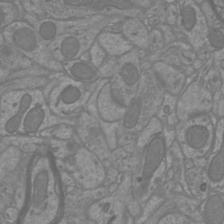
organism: Mouse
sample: Cortical neurons